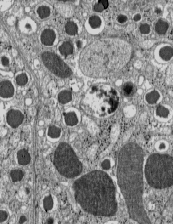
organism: C57BL Mouse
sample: Pancreatic islet